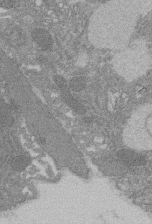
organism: Rat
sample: Salivary granule